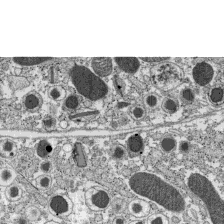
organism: C57BL Mouse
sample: Pancreatic islet